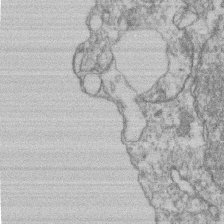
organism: Mouse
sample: T cell stromal cell synapse